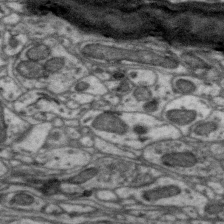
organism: Zebra finch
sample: Brain